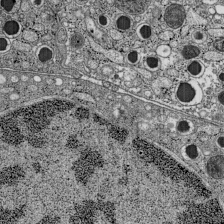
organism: C57BL Mouse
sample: Pancreatic islet